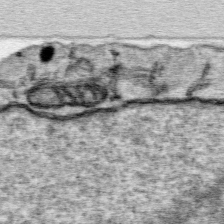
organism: Human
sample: HeLa cells